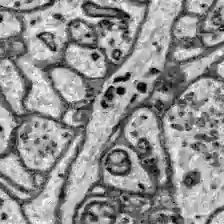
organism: Zebrafish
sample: Brain